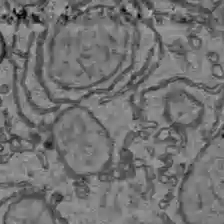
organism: C57BL Mouse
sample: Liver